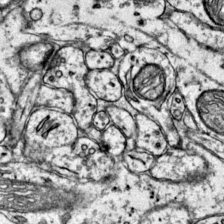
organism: Mouse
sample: Primary visual cortex